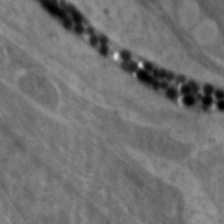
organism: Zebrafish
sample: Zebrafish embryo